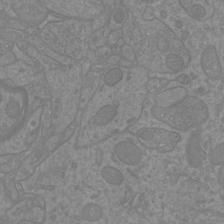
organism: Mouse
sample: Cortical neurons